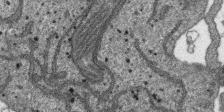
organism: Human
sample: Lung epithelial cells infected with SARS-CoV-2